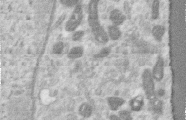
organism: Human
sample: Centriole in RPE cells